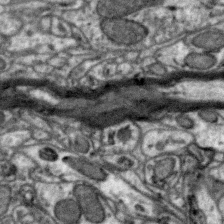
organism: Zebra finch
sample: Brain